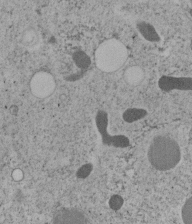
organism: C. elegans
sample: C. elegans embryo early stage